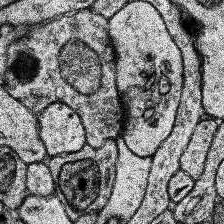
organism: Human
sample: Temporal Lobe